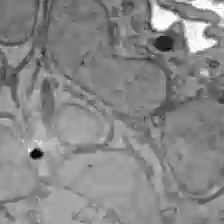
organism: C57BL Mouse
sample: Liver